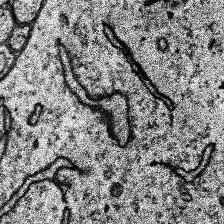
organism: Human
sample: Temporal Lobe